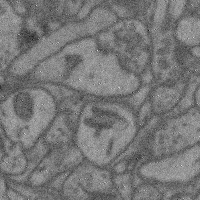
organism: Mouse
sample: Cerebral cortex